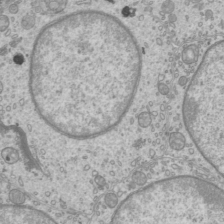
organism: Mouse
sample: Cilia; mouse epididymis